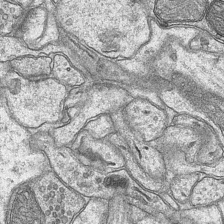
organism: Mouse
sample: CA1 Hippocampus